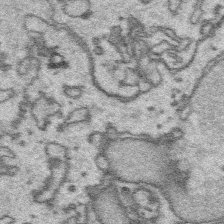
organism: Platynereis dumerilii